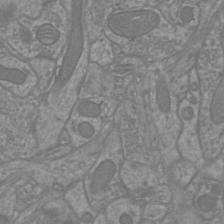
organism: Mouse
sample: Cortical neurons